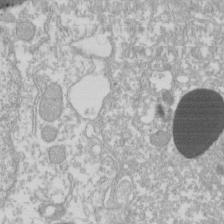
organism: Xenopus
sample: Cilia; centrioles in frog embryo cells